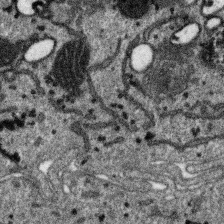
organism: Human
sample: Lung epithelial cells infected with SARS-CoV-2